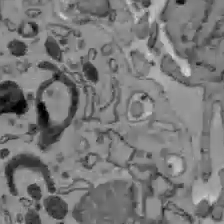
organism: C57BL Mouse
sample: Liver